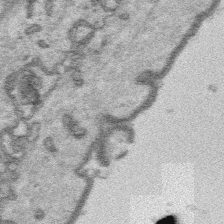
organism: Platynereis dumerilii